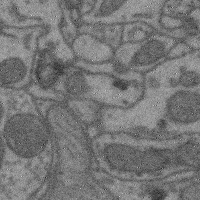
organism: Mouse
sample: Cerebral cortex